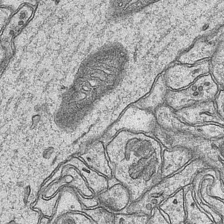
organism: Mouse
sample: CA1 Hippocampus